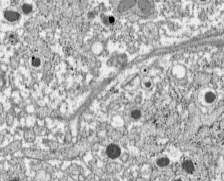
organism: C57BL Mouse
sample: Pancreatic islet